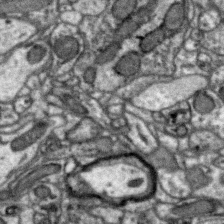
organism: Zebra finch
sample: Brain